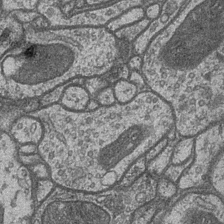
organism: Drosophila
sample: Optic medulla